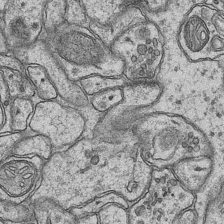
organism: Mouse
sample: CA1 Hippocampus